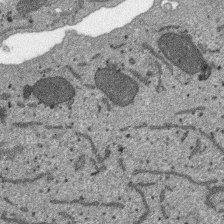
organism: Human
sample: Lung epithelial cells infected with SARS-CoV-2